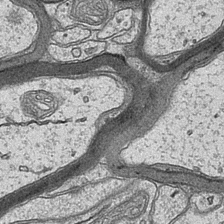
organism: Mouse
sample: CA1 Hippocampus